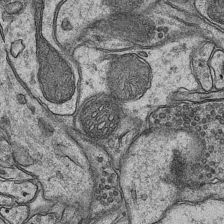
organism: Mouse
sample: CA1 Hippocampus